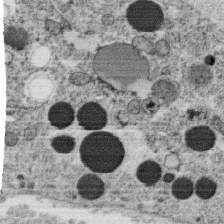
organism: C. elegans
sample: C. elegans oocyte; sperm cells